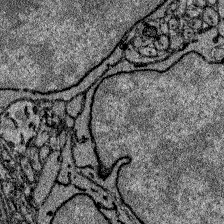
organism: Zebrafish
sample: Larval olfactory bulb